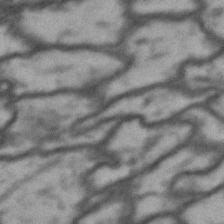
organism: Drosophila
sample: Brain